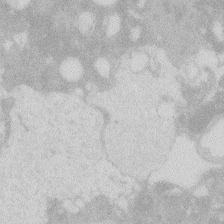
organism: Zebrafish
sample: Macrophage